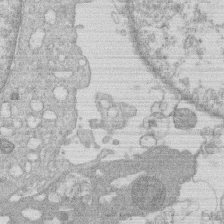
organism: Human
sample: Macrophage cells